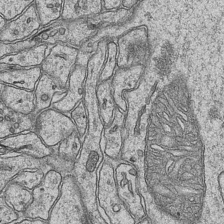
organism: Mouse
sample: CA1 Hippocampus